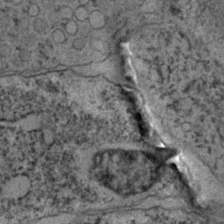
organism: C. elegans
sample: C. elegans embryo